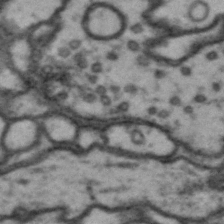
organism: Drosophila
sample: Brain